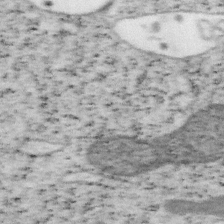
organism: Mouse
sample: OT-I killer T cells with ID8 ovarian cancer cells